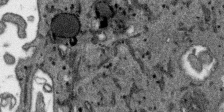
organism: Human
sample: Lung epithelial cells, uninfected (mock) control